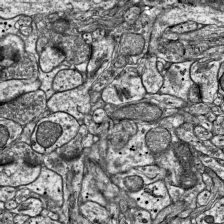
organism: Mouse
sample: Visual Cortex